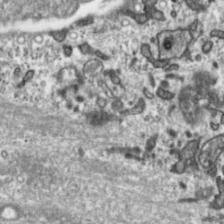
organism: Toxoplasma gondii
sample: Parasites in a vacuole inside a host cell